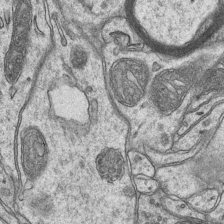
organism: Mouse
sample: CA1 Hippocampus